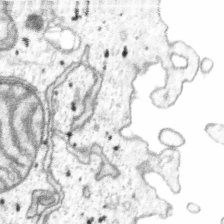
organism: Human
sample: HeLa cells